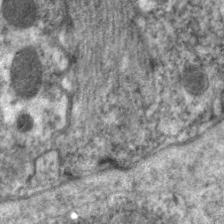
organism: C. elegans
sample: Pharynx